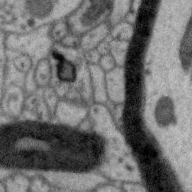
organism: Zebra finch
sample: Brain